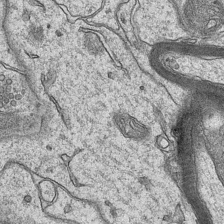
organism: Mouse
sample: CA1 Hippocampus